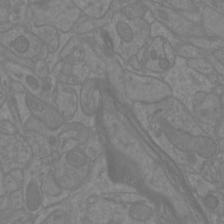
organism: Mouse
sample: Cortical neurons